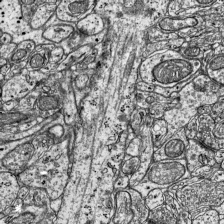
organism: Mouse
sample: Visual Cortex